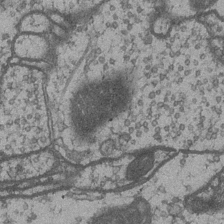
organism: Drosophila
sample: Optic medulla